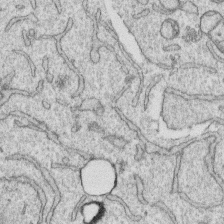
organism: Human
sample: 1205lu cells